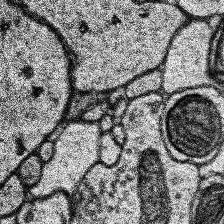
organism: Human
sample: Temporal Lobe